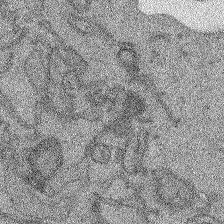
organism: Human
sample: HeLa cells